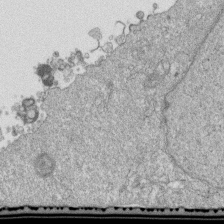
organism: Human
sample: HeLa cell HIV synapse